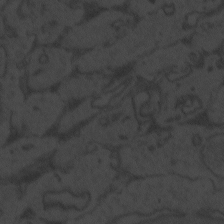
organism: Zebrafish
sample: Macrophage infected with Toxoplasma gondii